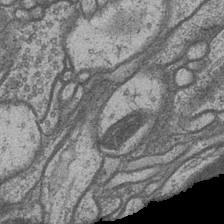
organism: Drosophila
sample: Optic medulla